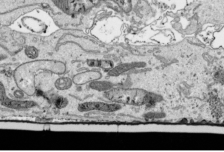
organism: Human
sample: Mitochondria in HCT116 cells